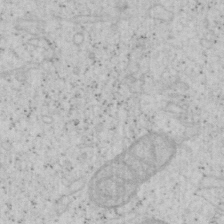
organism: Human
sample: HeLa cells